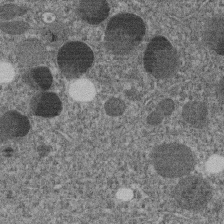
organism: C. elegans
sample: C. elegans embryo early stage